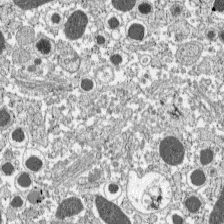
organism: C57BL Mouse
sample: Pancreatic islet